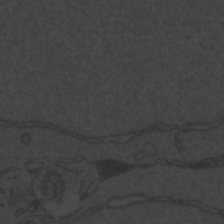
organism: Zebrafish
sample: Macrophage infected with Toxoplasma gondii